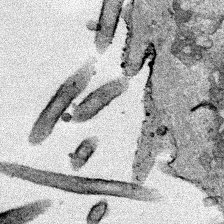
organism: Human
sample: Mitochondria in HCT116 cells